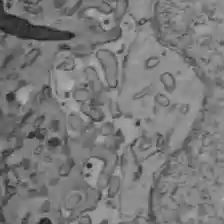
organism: C57BL Mouse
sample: Liver